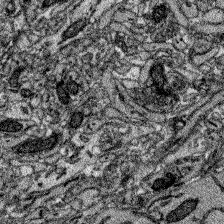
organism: Zebrafish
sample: Larval olfactory bulb